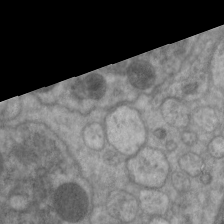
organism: C. elegans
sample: Pharynx